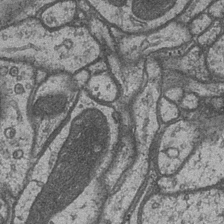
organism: Drosophila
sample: Optic medulla